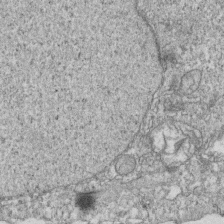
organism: Human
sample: HeLa cell HIV synapse